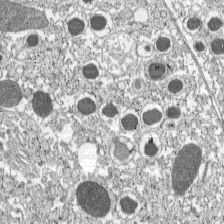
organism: C57BL Mouse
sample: Pancreatic islet